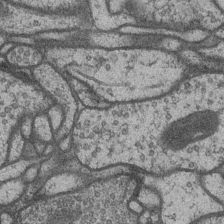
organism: Drosophila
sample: Optic medulla